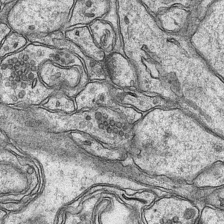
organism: Mouse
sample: CA1 Hippocampus